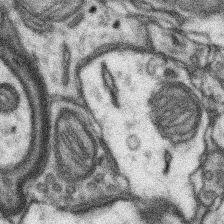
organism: Mouse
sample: Somatosensory cortex neuropil